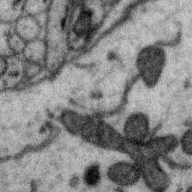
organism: Zebra finch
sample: Brain